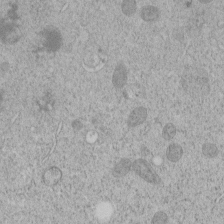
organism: C. elegans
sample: C. elegans embryo early stage